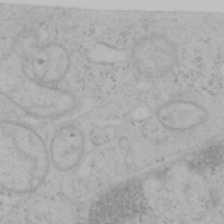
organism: Mouse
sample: OT-I killer T cells with ID8 ovarian cancer cells